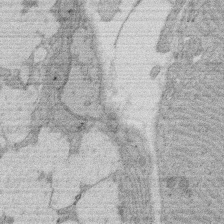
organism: Rat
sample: Salivary granule